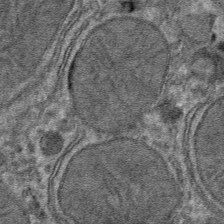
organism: Mouse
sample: Mouse hepatocytes